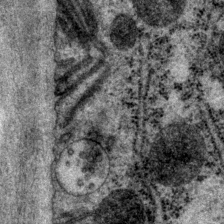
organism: P. pacificus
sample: Pharynx